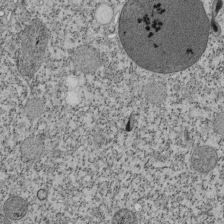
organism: Tetrahymena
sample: Cilia in tetrahymena